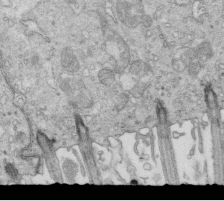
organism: Mouse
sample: Multiciliated cells